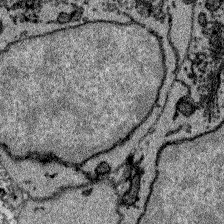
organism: Zebrafish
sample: Larval olfactory bulb